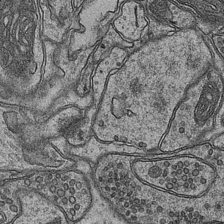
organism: Mouse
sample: CA1 Hippocampus